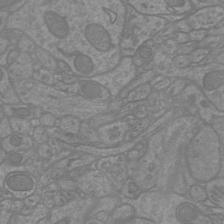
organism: Mouse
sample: Cortical neurons